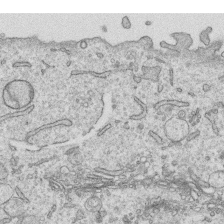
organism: Human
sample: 1205lu cells